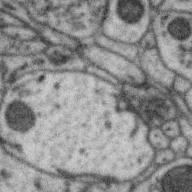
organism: Zebra finch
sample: Brain